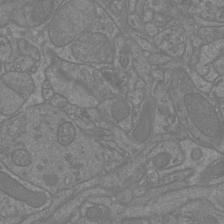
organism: Mouse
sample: Cortical neurons